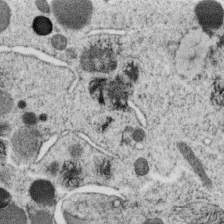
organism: C. elegans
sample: C. elegans oocyte; sperm cells